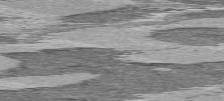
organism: C57BL Mouse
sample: Heart